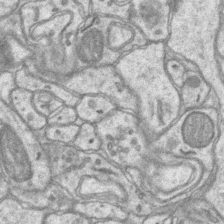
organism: Mouse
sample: CA1 Hippocampus